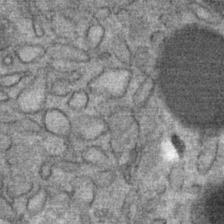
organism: Mouse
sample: Mouse Salivary gland